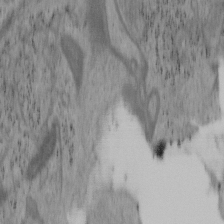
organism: Human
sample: HeLa cells